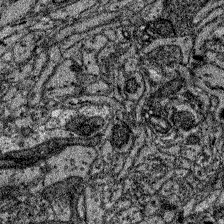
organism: Zebrafish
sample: Larval olfactory bulb